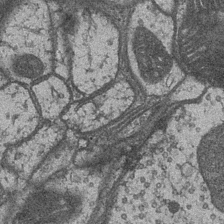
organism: Drosophila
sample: Optic medulla